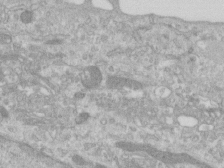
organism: Human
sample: Centriole in RPE cells